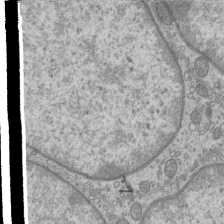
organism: Mouse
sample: Cilia; mouse epididymis